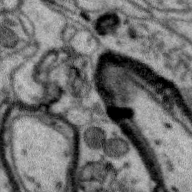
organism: Zebra finch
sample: Brain